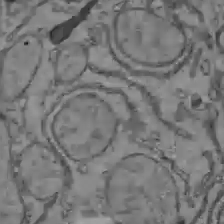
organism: C57BL Mouse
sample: Liver